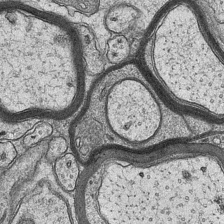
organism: Mouse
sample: CA1 Hippocampus